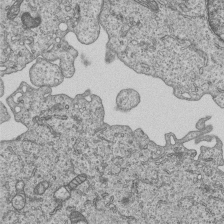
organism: Human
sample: MDA-MB-231 cells